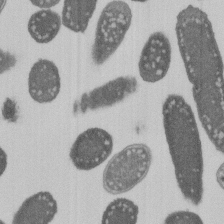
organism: E. coli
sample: Bacterial nucleoid